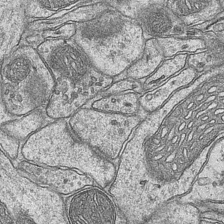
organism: Mouse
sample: CA1 Hippocampus